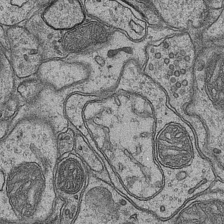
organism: Mouse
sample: CA1 Hippocampus